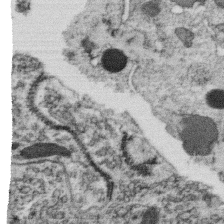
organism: C. elegans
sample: C. elegans oocyte; sperm cells